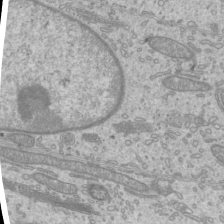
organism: Mouse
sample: Cilia; mouse epididymis